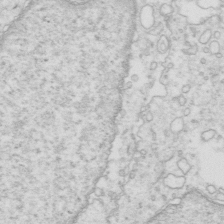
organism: Mouse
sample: Multiciliated cells